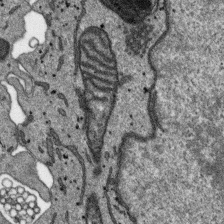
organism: Human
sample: Lung epithelial cells, uninfected (mock) control